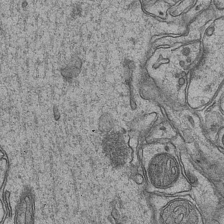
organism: Mouse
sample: CA1 Hippocampus